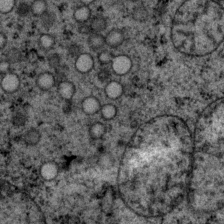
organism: P. pacificus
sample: Pharynx